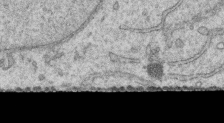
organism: Human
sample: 1205lu cells